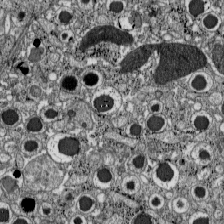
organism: C57BL Mouse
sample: Pancreatic islet